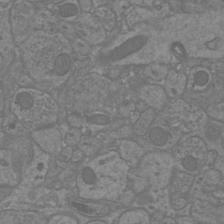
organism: Mouse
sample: Cortical neurons